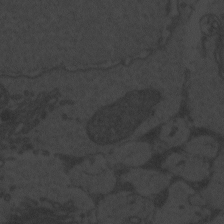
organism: Zebrafish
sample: Macrophage infected with Toxoplasma gondii